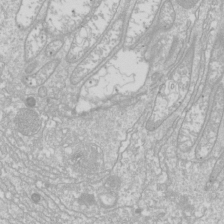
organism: Drosophila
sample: Cell division; meiosis; drosophila spermatocytes